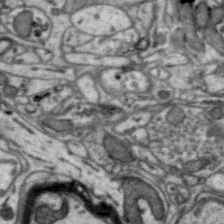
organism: Zebra finch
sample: Brain